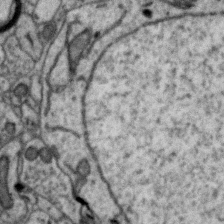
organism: Zebra finch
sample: Brain